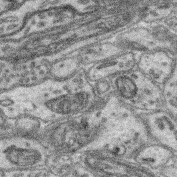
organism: Mouse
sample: Retina